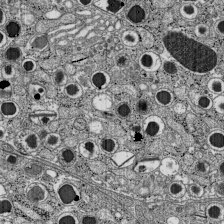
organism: C57BL Mouse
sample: Pancreatic islet